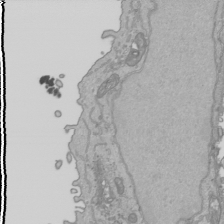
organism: Human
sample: Mitochondria in HCT116 cells